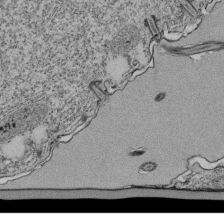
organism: Tetrahymena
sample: Cilia in tetrahymena